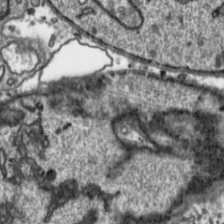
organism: Toxoplasma gondii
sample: Parasites in a vacuole inside a host cell